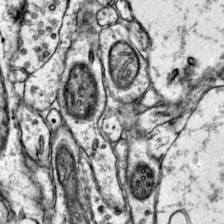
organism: Mouse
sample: Primary visual cortex